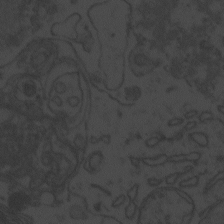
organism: Zebrafish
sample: Macrophage infected with Toxoplasma gondii